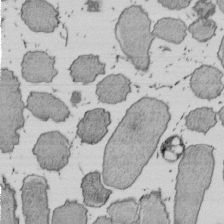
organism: E. coli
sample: Bacterial nucleoid